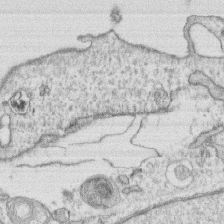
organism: Human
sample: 1205lu cells